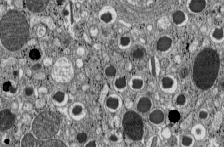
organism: C57BL Mouse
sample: Pancreatic islet